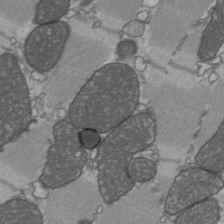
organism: C57BL Mouse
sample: Heart